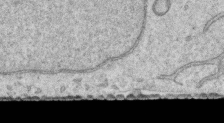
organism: Human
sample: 1205lu cells